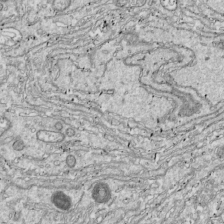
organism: Drosophila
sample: Cell division; meiosis; drosophila spermatocytes